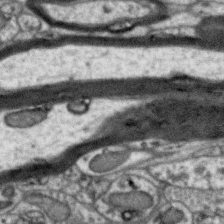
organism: Zebra finch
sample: Brain